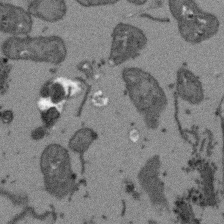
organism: Arabidopsis thaliana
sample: Root tip